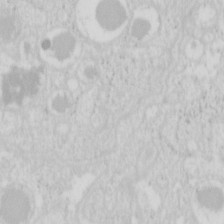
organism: Mouse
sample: Pancreas